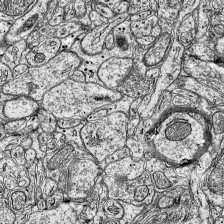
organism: Mouse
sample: Visual Cortex